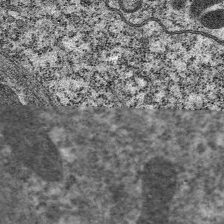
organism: C. elegans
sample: Pharynx